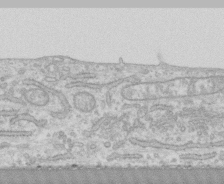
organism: Human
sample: CRL-1474